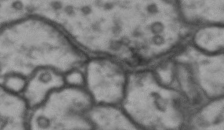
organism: Drosophila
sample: Brain